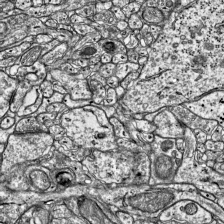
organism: Mouse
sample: Visual Cortex